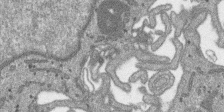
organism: Human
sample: Lung epithelial cells infected with SARS-CoV-2